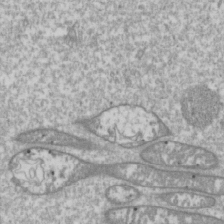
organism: Drosophila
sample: Cell division; meiosis; drosophila spermatocytes